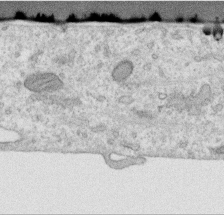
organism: Human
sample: Centriole in RPE cells